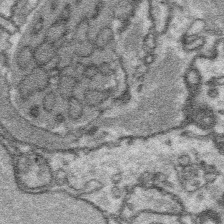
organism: Platynereis dumerilii